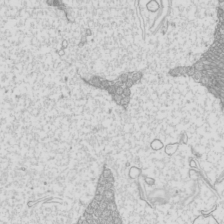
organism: Mouse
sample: Cilia; mouse epididymis